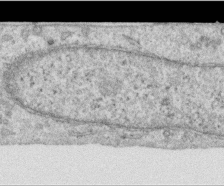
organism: Human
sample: Centriole in RPE cells